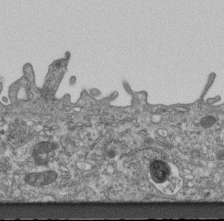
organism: Mouse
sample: Centriole in ependymal cells